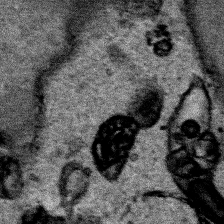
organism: Human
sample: Mitochondria in HCT116 cells